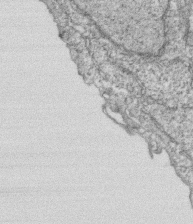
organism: Human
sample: HeLa cell HIV synapse